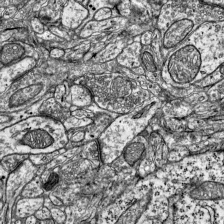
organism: Mouse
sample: Visual Cortex